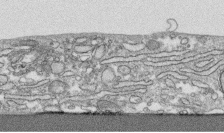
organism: Human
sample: CRL-1474